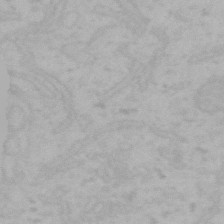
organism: Mouse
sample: Choroid plexus